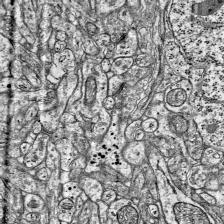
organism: Mouse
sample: Visual Cortex